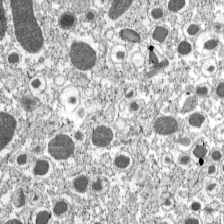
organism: C57BL Mouse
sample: Pancreatic islet